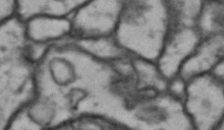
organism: Drosophila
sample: Brain